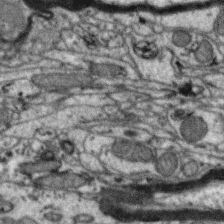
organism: Zebra finch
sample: Brain